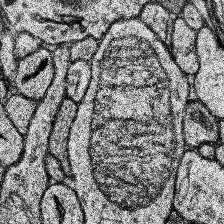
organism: Human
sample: Temporal Lobe